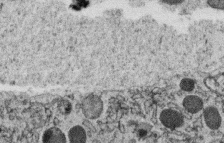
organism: C. elegans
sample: C. elegans oocyte; sperm cells